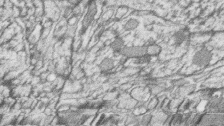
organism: Zebrafish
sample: synaptic ribbons in rod cells and cone cells